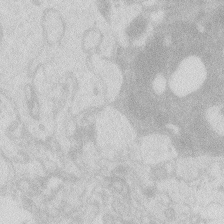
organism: Zebrafish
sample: Macrophage